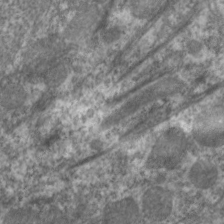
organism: C. elegans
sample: Pharynx